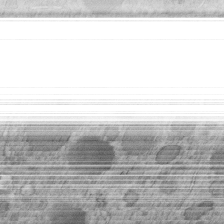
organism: C. elegans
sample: C. elegans embryo early stage